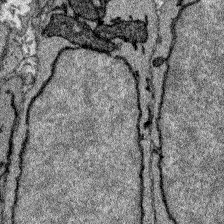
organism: Zebrafish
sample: Larval olfactory bulb